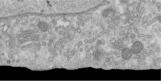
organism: Human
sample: Centriole in RPE cells